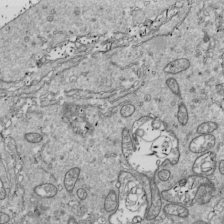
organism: Drosophila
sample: Cell division; meiosis; drosophila spermatocytes